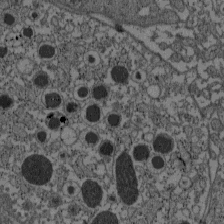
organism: C57BL Mouse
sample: Pancreatic islet